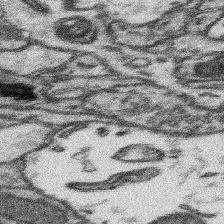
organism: Mouse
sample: Somatosensory cortex neuropil